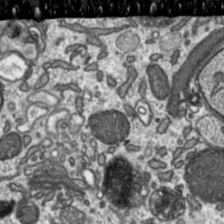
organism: Toxoplasma gondii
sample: Parasites in a vacuole inside a host cell